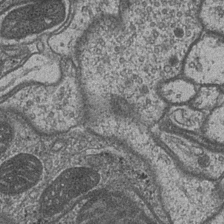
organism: Drosophila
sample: Optic medulla